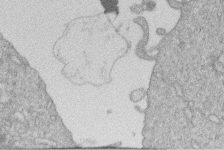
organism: Human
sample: Macrophage cells